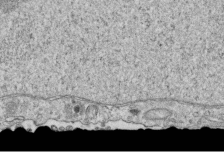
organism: Human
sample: HeLa cell HIV synapse